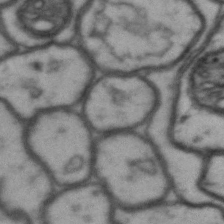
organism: Drosophila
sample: Brain